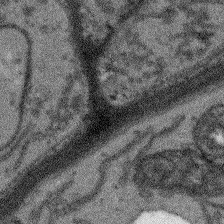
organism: Arabidopsis thaliana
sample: Root tip